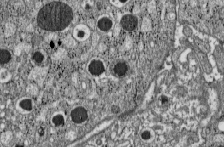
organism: C57BL Mouse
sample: Pancreatic islet